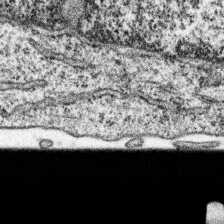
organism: Human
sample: HeLa cells